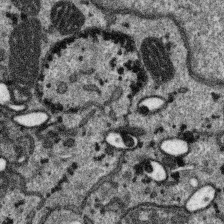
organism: Human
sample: Lung epithelial cells infected with SARS-CoV-2